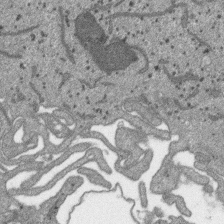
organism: Human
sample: Lung epithelial cells infected with SARS-CoV-2